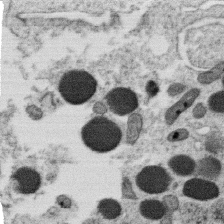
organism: C. elegans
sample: C. elegans oocyte; sperm cells